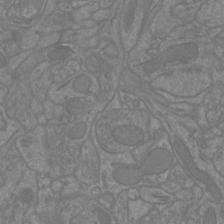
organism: Mouse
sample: Cortical neurons